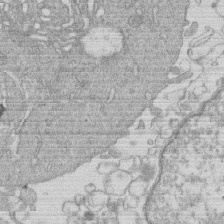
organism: Human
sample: Macrophage cells